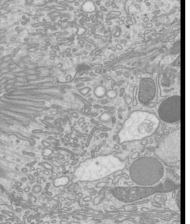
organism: Mouse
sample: Cilia; mouse epididymis